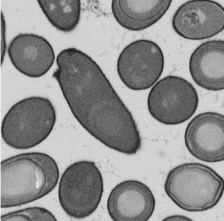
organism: B. subtilis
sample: Bacterial spore